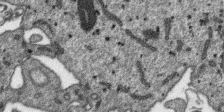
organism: Human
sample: Lung epithelial cells infected with SARS-CoV-2